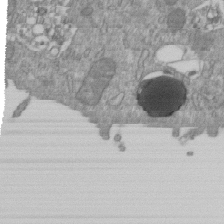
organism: Mouse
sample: ED-1 cell nuclei; centrioles